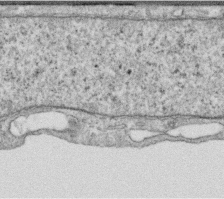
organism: Human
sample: Centriole in RPE cells